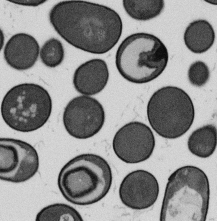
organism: B. subtilis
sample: Bacterial spore